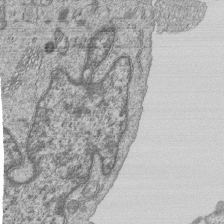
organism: Human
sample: MDA-MB-231 cells